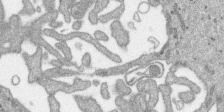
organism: Human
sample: Lung epithelial cells infected with SARS-CoV-2